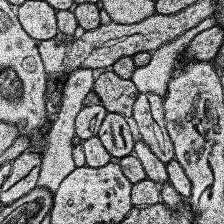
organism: Human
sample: Temporal Lobe